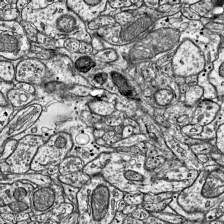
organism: Mouse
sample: Visual Cortex